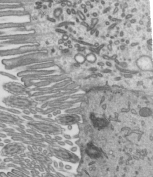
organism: Mouse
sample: Mouse epididymis efferent ductule cilia